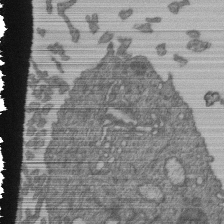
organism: Human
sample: Retinal organoid Rod and Cone cells